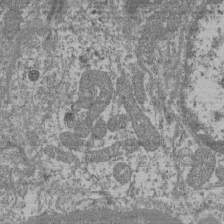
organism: Mouse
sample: Glomerulus